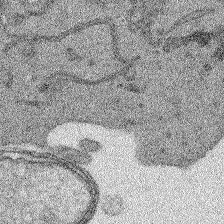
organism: Human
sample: HeLa cells